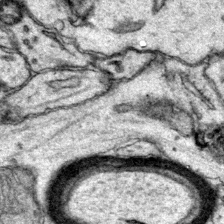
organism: Mouse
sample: Primary visual cortex